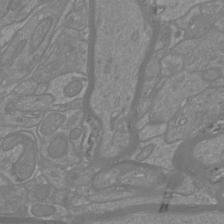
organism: Mouse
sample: Cortical neurons